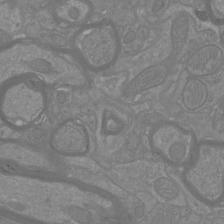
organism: Mouse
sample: Cortical neurons